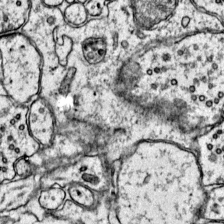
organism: Mouse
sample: Primary visual cortex